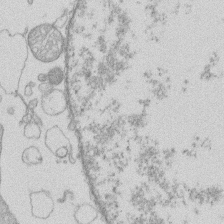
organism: Human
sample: Macrophage cells